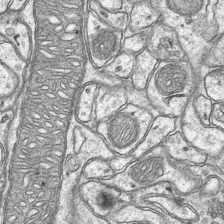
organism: Mouse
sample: CA1 Hippocampus